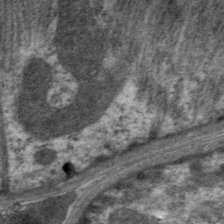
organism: C. elegans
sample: Pharynx